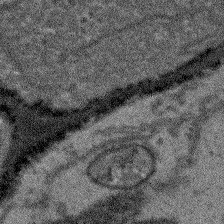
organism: Arabidopsis thaliana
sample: Root tip